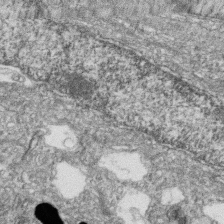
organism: Zebrafish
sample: Cilia; retinal pigment epithelium